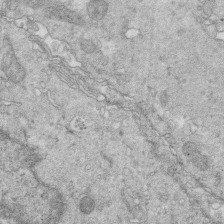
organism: Mouse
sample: Multiciliated cells